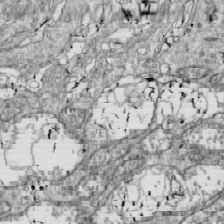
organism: Drosophila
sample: Cell division; meiosis; drosophila spermatocytes